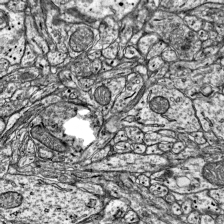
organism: Mouse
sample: Visual Cortex